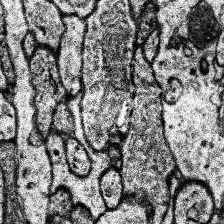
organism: Human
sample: Temporal Lobe